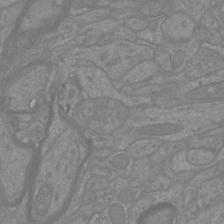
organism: Mouse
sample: Cortical neurons